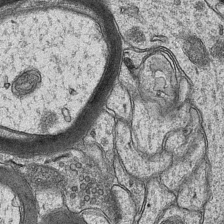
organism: Mouse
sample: CA1 Hippocampus